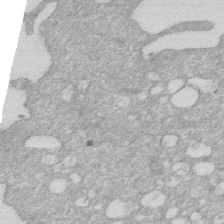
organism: Human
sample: HIV infected U937 cells